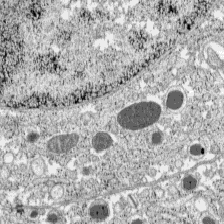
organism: C57BL Mouse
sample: Pancreatic islet